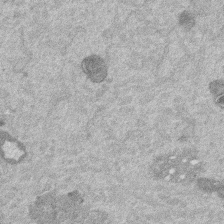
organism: Mouse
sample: Dividing mouse embryo 1 cell stage